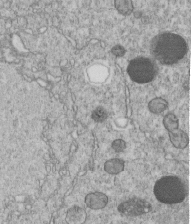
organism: C. elegans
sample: C. elegans embryo early stage